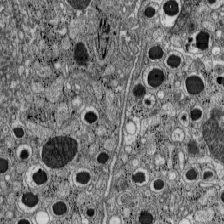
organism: C57BL Mouse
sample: Pancreatic islet